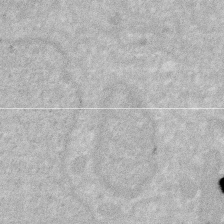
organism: Human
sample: HIV infected U937 cells